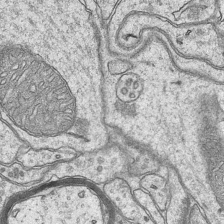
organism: Mouse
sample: CA1 Hippocampus